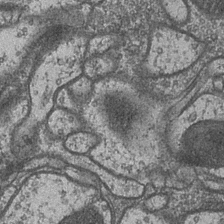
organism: Drosophila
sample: Optic medulla